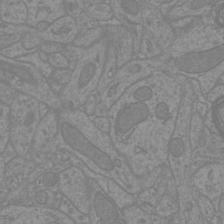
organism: Mouse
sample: Cortical neurons